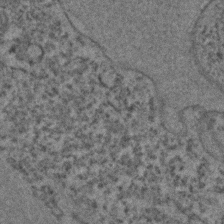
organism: C. elegans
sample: C. elegans embryo